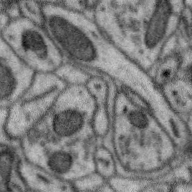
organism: Zebra finch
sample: Brain